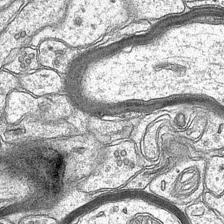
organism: Mouse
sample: CA1 Hippocampus